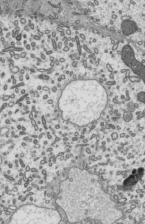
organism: Mouse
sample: Mouse epididymis efferent ductule cilia